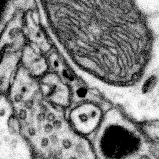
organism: Mouse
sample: Somatosensory cortex neuropil